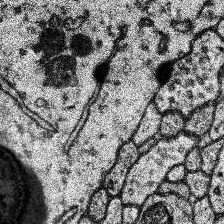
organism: Human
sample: Temporal Lobe